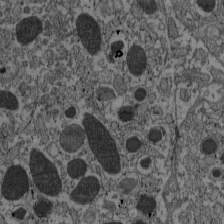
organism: C57BL Mouse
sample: Pancreatic islet